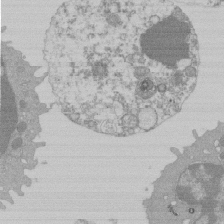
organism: Mouse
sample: Activated Pmel transgenic CD8+ T Cells